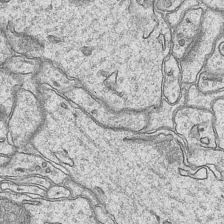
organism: Mouse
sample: CA1 Hippocampus